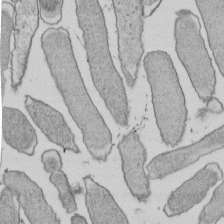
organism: E. coli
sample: Bacterial nucleoid